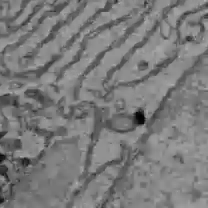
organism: C57BL Mouse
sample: Liver